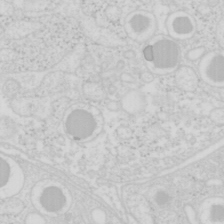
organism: Mouse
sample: Pancreas